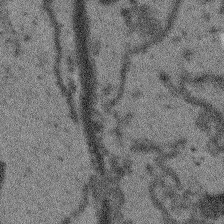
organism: Arabidopsis thaliana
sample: Root tip